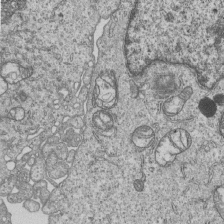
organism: Human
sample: MDA-MB-231 cells